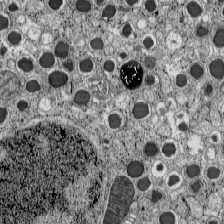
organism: C57BL Mouse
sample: Pancreatic islet